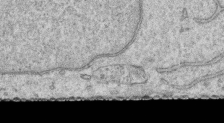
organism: Human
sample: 1205lu cells